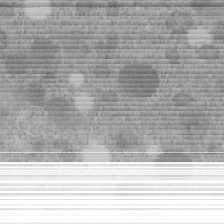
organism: C. elegans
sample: C. elegans embryo early stage